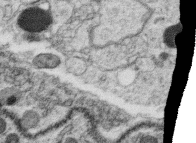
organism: C. elegans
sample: C. elegans oocyte; sperm cells